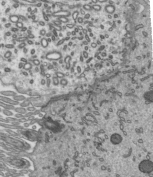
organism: Mouse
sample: Mouse epididymis efferent ductule cilia